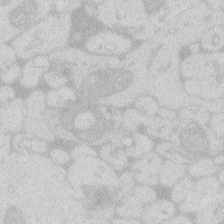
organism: Zebrafish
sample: Macrophage